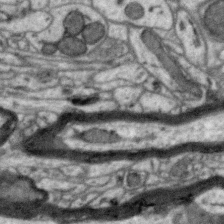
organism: Zebra finch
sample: Brain